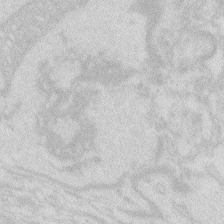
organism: Zebrafish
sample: Macrophage